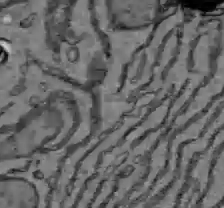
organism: C57BL Mouse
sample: Liver